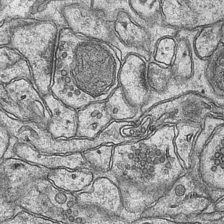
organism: Mouse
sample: CA1 Hippocampus